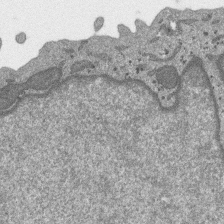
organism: Human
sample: Lung epithelial cells infected with SARS-CoV-2